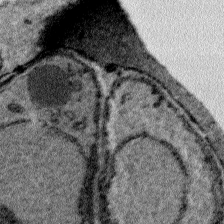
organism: Plasmodium falciparum